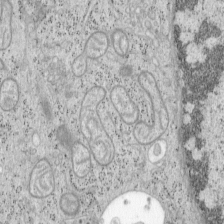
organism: Mouse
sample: OT-I killer T cells with ID8 ovarian cancer cells